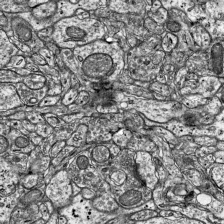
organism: Mouse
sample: Visual Cortex